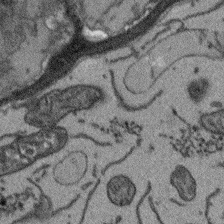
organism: Arabidopsis thaliana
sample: Root tip